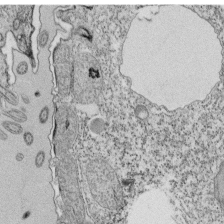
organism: Tetrahymena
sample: Cilia in tetrahymena